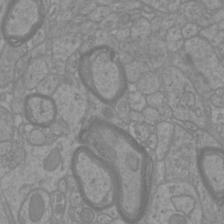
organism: Mouse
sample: Cortical neurons